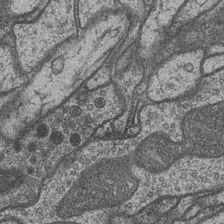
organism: Drosophila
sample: Optic medulla